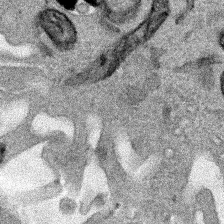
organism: Human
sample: Mitochondria in HCT116 cells